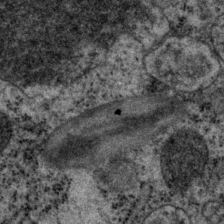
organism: P. pacificus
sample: Pharynx